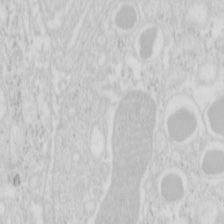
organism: Mouse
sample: Pancreas